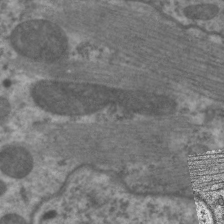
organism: C. elegans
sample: Pharynx